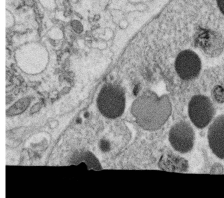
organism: C. elegans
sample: C. elegans oocyte; sperm cells